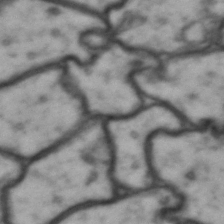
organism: Drosophila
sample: Brain